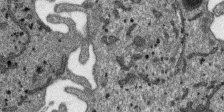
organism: Human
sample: Lung epithelial cells infected with SARS-CoV-2